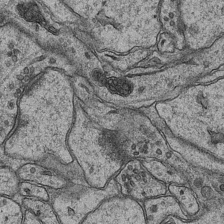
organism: Mouse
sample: CA1 Hippocampus